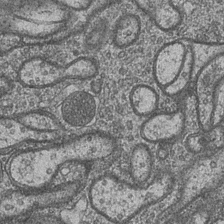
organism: Drosophila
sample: Optic medulla